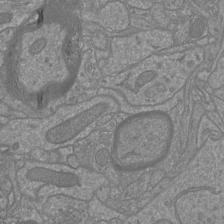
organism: Mouse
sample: Cortical neurons